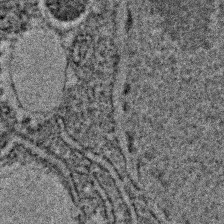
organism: C. elegans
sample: C. elegans embryo